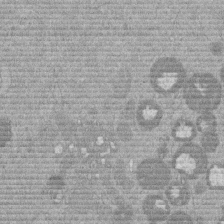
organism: Mouse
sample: Dividing mouse embryo 1 cell stage